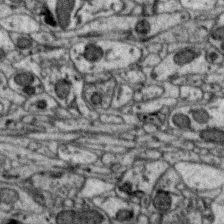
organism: Zebra finch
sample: Brain